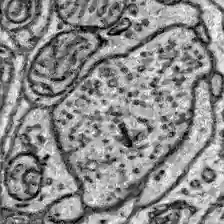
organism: Zebrafish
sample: Brain